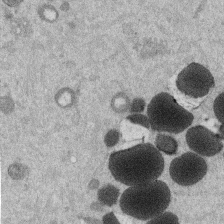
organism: Mouse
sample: Dividing mouse embryo 1 cell stage